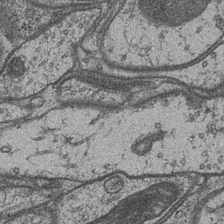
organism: Drosophila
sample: Optic medulla